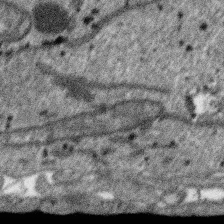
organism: Human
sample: Lung epithelial cells infected with SARS-CoV-2